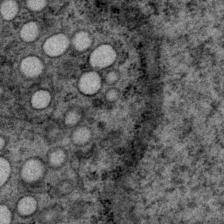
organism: P. pacificus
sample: Pharynx